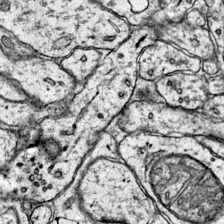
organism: Mouse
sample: Primary visual cortex